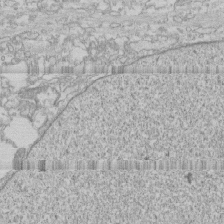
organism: Human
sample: CRL-1474